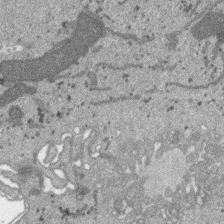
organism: Human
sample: Lung epithelial cells infected with SARS-CoV-2